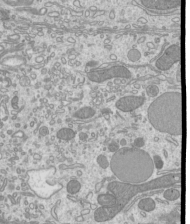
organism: Mouse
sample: Cilia; mouse epididymis